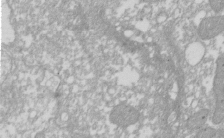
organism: Xenopus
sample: Cilia; centrioles in frog embryo cells